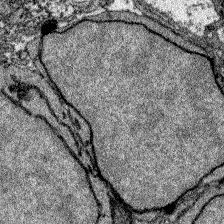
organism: Zebrafish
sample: Larval olfactory bulb